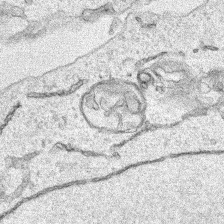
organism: Human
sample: Mitochondria in HCT116 cells